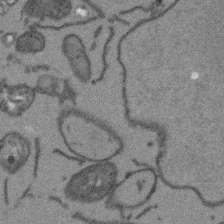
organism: Arabidopsis thaliana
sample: Root tip